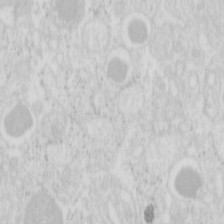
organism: Mouse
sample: Pancreas